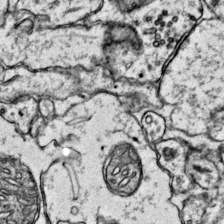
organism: Mouse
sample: Primary visual cortex